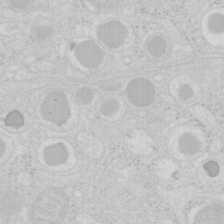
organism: Mouse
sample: Pancreas